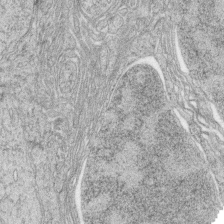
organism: Zebrafish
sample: synaptic ribbons in rod cells and cone cells